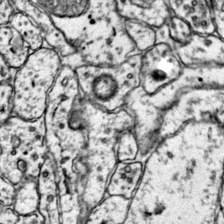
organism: Mouse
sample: Primary visual cortex